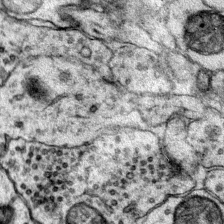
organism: Mouse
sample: Primary visual cortex